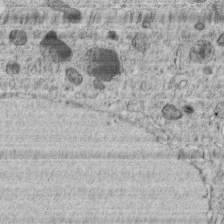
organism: C. elegans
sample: C. elegans embryo early stage